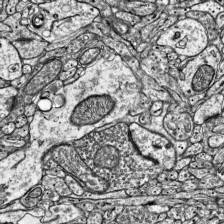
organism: Mouse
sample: Visual Cortex